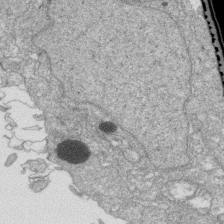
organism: Human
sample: HeLa cell HIV synapse